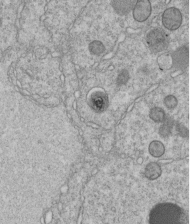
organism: C. elegans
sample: C. elegans embryo early stage